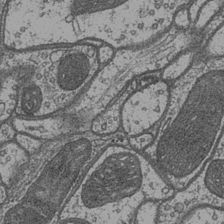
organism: Drosophila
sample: Optic medulla